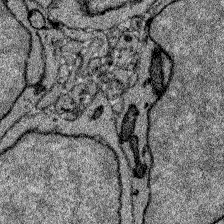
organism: Zebrafish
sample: Larval olfactory bulb